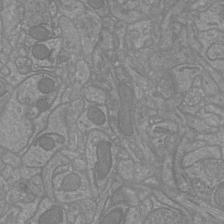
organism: Mouse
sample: Cortical neurons